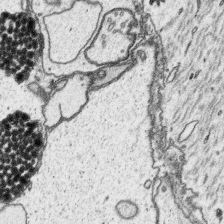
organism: Platynereis dumerilii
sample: Parapodia